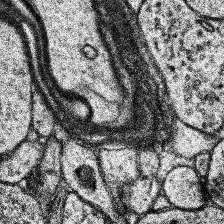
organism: Human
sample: Temporal Lobe